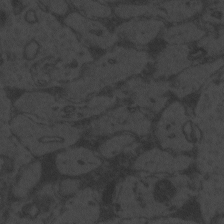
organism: Zebrafish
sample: Macrophage infected with Toxoplasma gondii